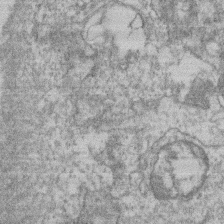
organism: Mouse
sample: T cell stromal cell synapse